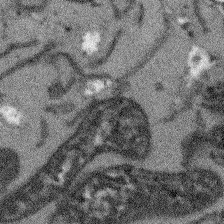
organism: Arabidopsis thaliana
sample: Root tip